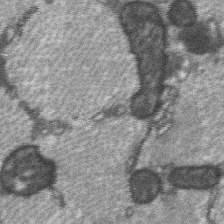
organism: C57BL Mouse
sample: Soleus